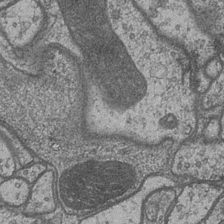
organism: Drosophila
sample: Optic medulla